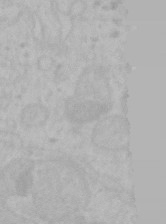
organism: Mouse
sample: Choroid plexus